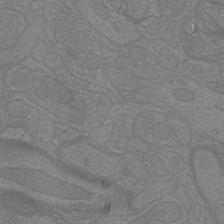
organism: Mouse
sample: Cortical neurons